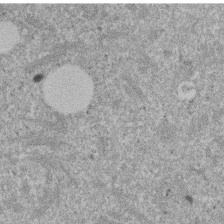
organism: Mouse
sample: Dividing mouse embryo 1 cell stage